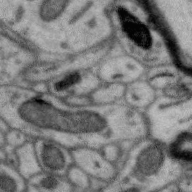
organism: Zebra finch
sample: Brain